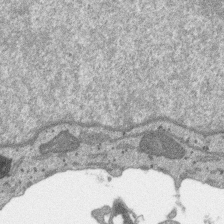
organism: Human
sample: Lung epithelial cells infected with SARS-CoV-2